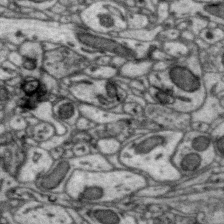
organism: Zebra finch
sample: Brain